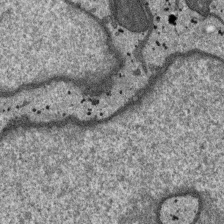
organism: Human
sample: Lung epithelial cells, uninfected (mock) control